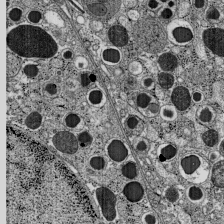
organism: C57BL Mouse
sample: Pancreatic islet